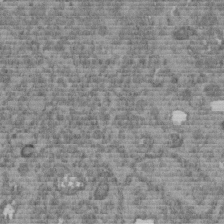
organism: C. elegans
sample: C. elegans embryo early stage